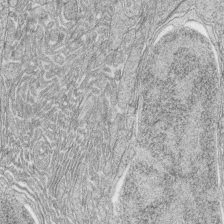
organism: Zebrafish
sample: synaptic ribbons in rod cells and cone cells